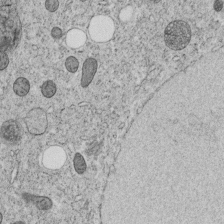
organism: C. elegans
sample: C. elegans embryo early stage